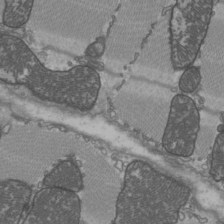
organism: C57BL Mouse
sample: Heart